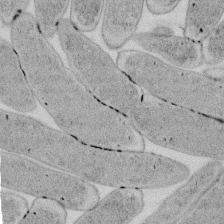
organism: E. coli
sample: Bacterial nucleoid